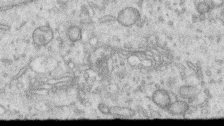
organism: Human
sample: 1205lu cells